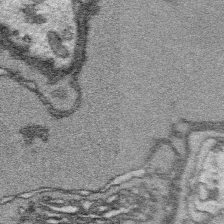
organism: Platynereis dumerilii